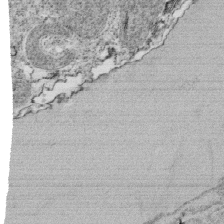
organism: Tetrahymena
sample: Cilia in tetrahymena